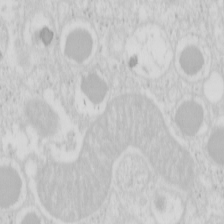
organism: Mouse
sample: Pancreas